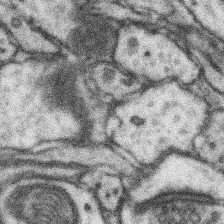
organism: Mouse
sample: Somatosensory cortex neuropil